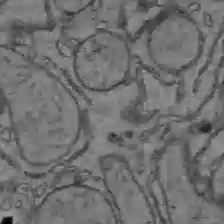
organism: C57BL Mouse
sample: Liver